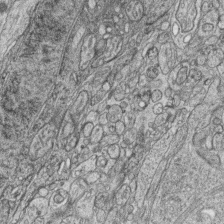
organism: Zebrafish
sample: synaptic ribbons in rod cells and cone cells